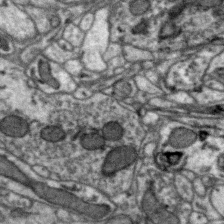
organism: Zebra finch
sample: Brain